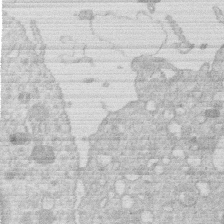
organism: Human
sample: Macrophage cells